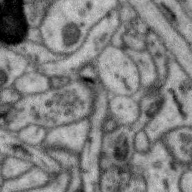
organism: Zebra finch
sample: Brain